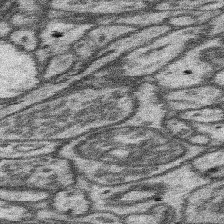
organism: Mouse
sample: Somatosensory cortex neuropil